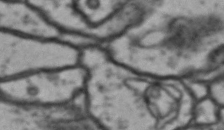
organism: Drosophila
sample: Brain